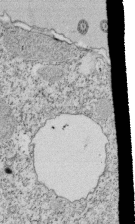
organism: Tetrahymena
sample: Cilia in tetrahymena